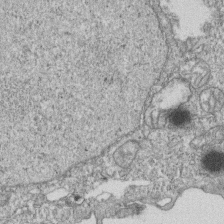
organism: Human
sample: HeLa cell HIV synapse